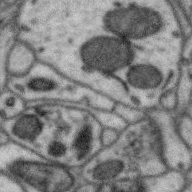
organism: Zebra finch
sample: Brain